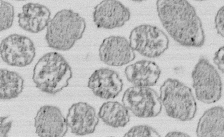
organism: E. coli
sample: Bacterial nucleoid